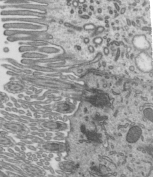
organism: Mouse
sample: Mouse epididymis efferent ductule cilia